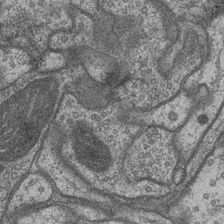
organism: Drosophila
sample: Optic medulla